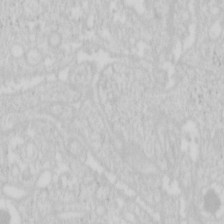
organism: Mouse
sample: Pancreas